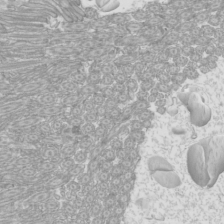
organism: Mouse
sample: Cilia; mouse epididymis